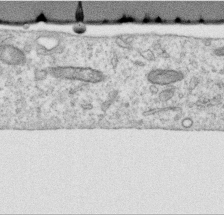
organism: Human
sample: Centriole in RPE cells